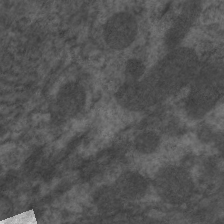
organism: C. elegans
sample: Pharynx